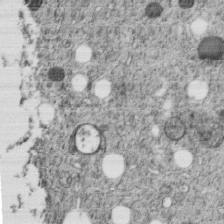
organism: C. elegans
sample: C. elegans embryo early stage